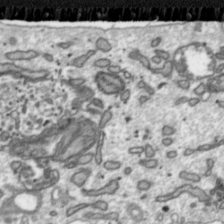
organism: Toxoplasma gondii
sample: Parasites in a vacuole inside a host cell